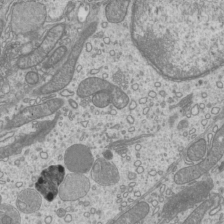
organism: Mouse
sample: Cilia; mouse epididymis